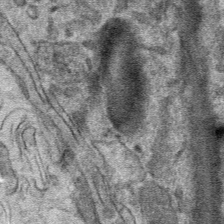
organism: Mouse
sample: Mouse hepatocytes